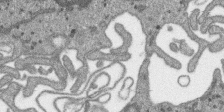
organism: Human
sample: Lung epithelial cells infected with SARS-CoV-2